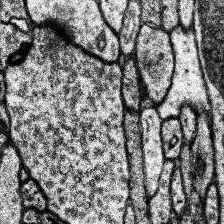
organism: Human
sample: Temporal Lobe